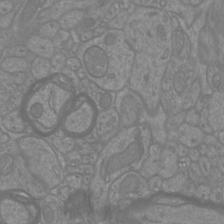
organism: Mouse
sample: Cortical neurons